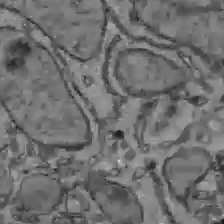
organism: C57BL Mouse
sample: Liver